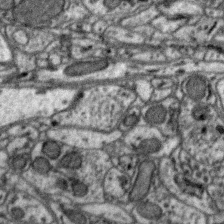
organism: Zebra finch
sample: Brain